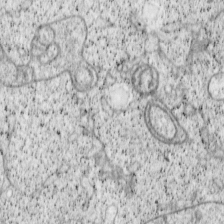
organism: African green monkey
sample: COS-7 cells